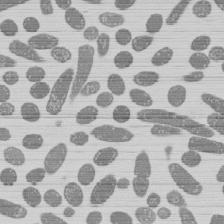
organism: E. coli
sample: Bacterial nucleoid